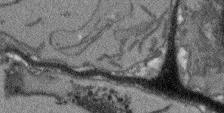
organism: Arabidopsis thaliana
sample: Root tip